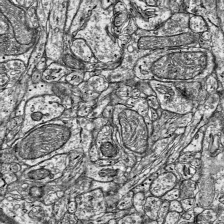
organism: Mouse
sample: Visual Cortex